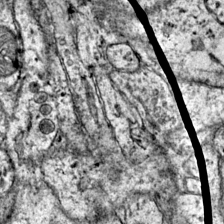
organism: Mouse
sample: Primary visual cortex